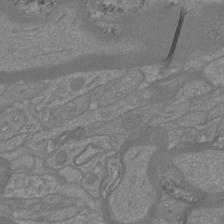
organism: Mouse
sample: Cortical neurons